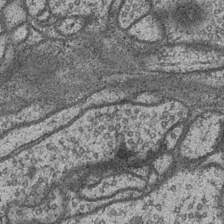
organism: Drosophila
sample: Optic medulla